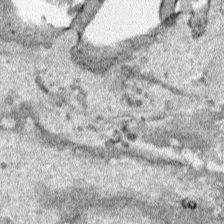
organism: Human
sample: Mitochondria in HCT116 cells